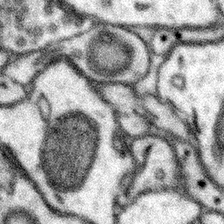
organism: Mouse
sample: Somatosensory cortex neuropil